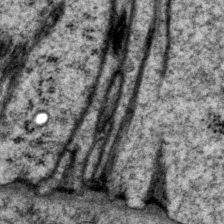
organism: P. pacificus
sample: Pharynx